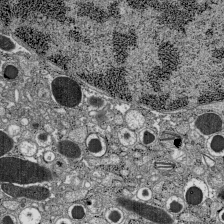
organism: C57BL Mouse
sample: Pancreatic islet